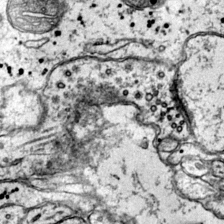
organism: Mouse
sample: Primary visual cortex